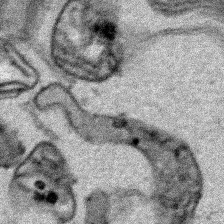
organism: Human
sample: Mitochondria in HCT116 cells